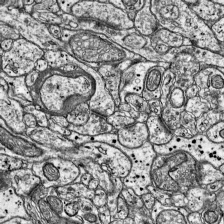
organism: Mouse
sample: Visual Cortex